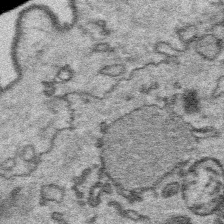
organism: Platynereis dumerilii